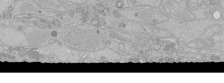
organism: Human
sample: Caco-2 cells